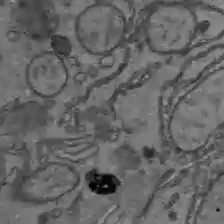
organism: C57BL Mouse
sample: Liver